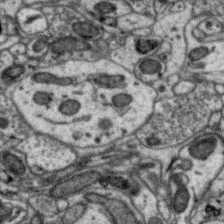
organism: Zebra finch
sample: Brain